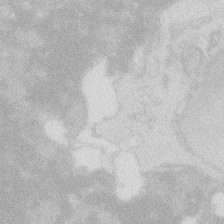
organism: Zebrafish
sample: Macrophage